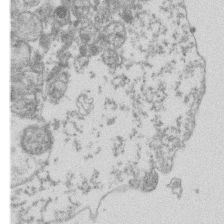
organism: Human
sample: HeLa cell HIV synapse